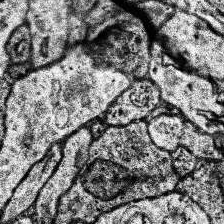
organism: Human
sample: Temporal Lobe